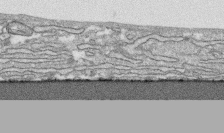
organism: Human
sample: CRL-1474